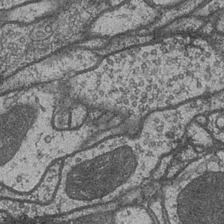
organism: Drosophila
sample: Optic medulla